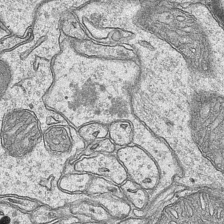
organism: Mouse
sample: CA1 Hippocampus